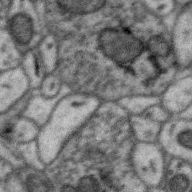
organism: Zebra finch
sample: Brain